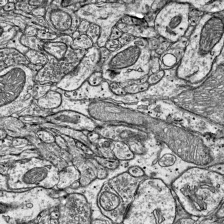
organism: Mouse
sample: Visual Cortex